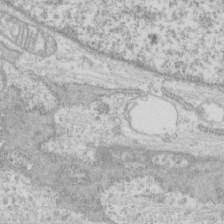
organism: Human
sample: CRL-1474